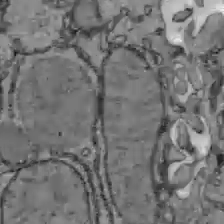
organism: C57BL Mouse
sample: Liver